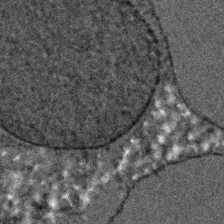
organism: C. elegans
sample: C. elegans embryo